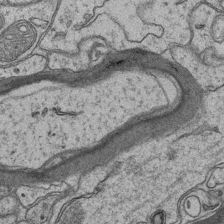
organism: Mouse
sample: CA1 Hippocampus